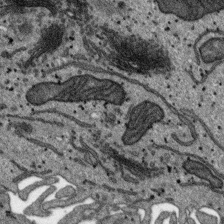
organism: Human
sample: Lung epithelial cells, uninfected (mock) control